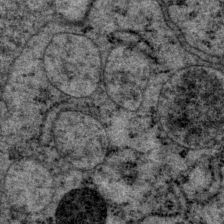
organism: P. pacificus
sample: Pharynx